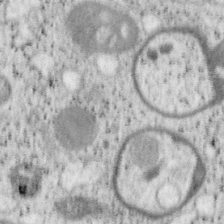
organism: Mouse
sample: OT-I killer T cells with ID8 ovarian cancer cells